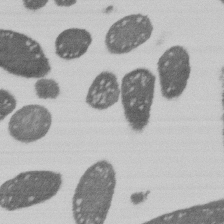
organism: E. coli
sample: Bacterial nucleoid